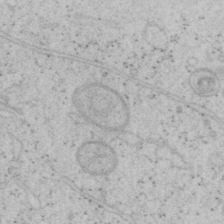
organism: Human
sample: HeLa cells